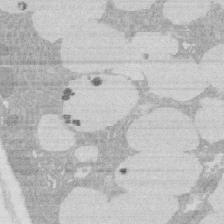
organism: Rat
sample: Salivary granule